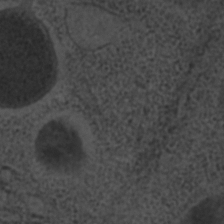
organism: C. elegans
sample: C. elegans embryo